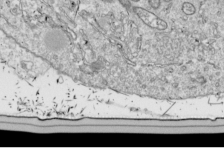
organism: Drosophila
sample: Cell division; meiosis; drosophila spermatocytes